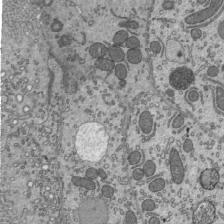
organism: Mouse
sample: Mouse epididymis efferent ductule cilia